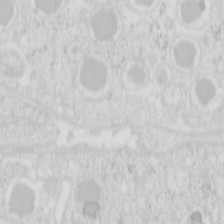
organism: Mouse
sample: Pancreas